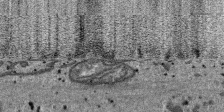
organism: Human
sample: Lung epithelial cells, uninfected (mock) control